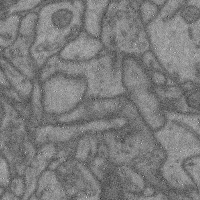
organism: Mouse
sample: Cerebral cortex